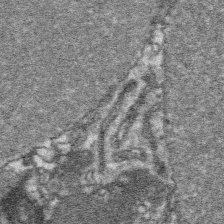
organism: Platynereis dumerilii